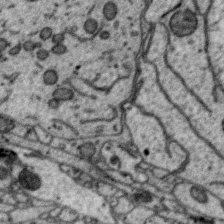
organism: Zebra finch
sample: Brain